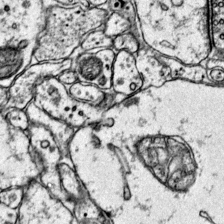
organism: Mouse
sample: Primary visual cortex